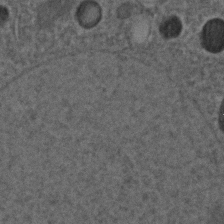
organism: C. elegans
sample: C. elegans embryo